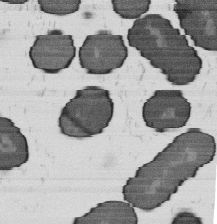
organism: B. subtilis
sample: Bacterial spore